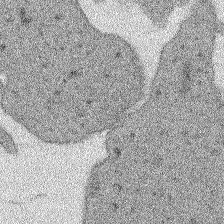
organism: Human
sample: HeLa cells